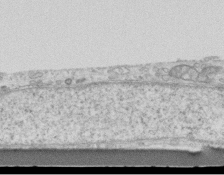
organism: Mouse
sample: Centriole in ependymal cells